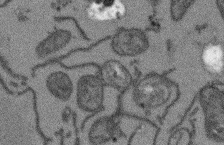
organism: Arabidopsis thaliana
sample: Root tip